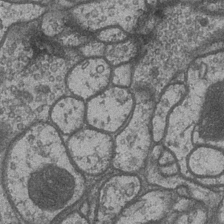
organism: Drosophila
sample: Optic medulla